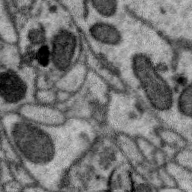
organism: Zebra finch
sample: Brain